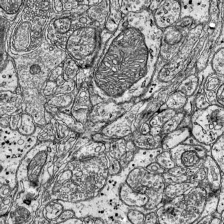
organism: Mouse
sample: Visual Cortex